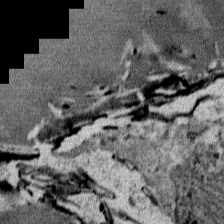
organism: Mouse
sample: Mouse Salivary gland